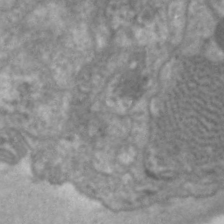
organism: C. elegans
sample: Pharynx